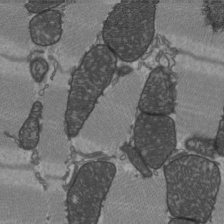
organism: C57BL Mouse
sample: Heart